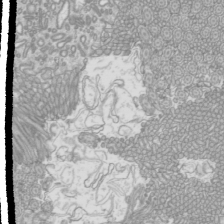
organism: Mouse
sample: Cilia; mouse epididymis